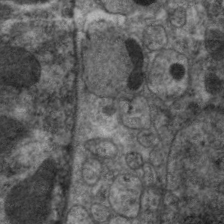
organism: C. elegans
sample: Pharynx